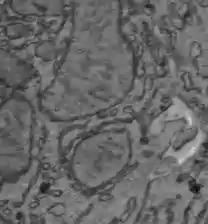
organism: C57BL Mouse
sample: Liver